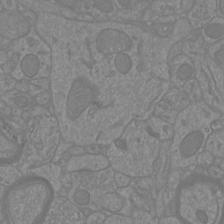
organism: Mouse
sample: Cortical neurons